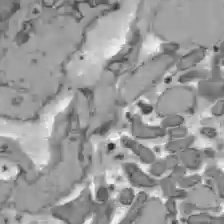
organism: C57BL Mouse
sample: Liver